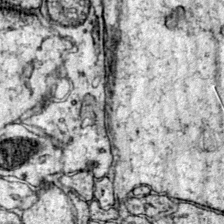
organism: Mouse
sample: Primary visual cortex